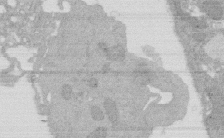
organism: Rat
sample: Salivary granule